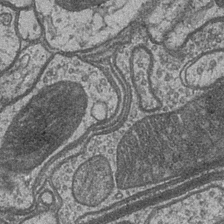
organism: Drosophila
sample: Optic medulla